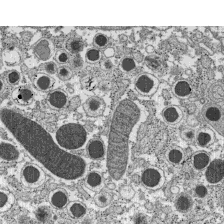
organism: C57BL Mouse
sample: Pancreatic islet